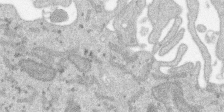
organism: Human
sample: Lung epithelial cells infected with SARS-CoV-2